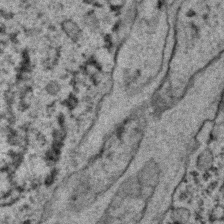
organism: C. elegans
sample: C. elegans embryo